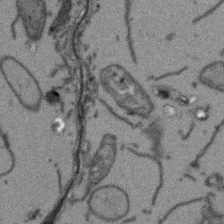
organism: Arabidopsis thaliana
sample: Root tip